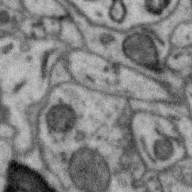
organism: Zebra finch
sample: Brain